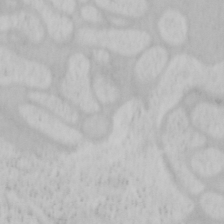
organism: Mouse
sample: OT-I killer T cells with ID8 ovarian cancer cells